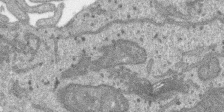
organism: Human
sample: Lung epithelial cells infected with SARS-CoV-2